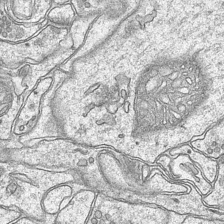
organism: Mouse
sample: CA1 Hippocampus